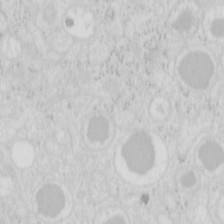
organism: Mouse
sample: Pancreas